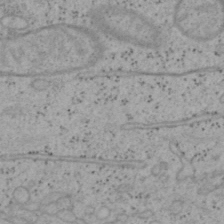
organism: Human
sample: HeLa cells